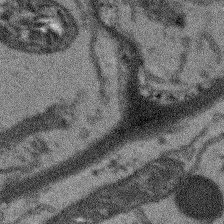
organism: Arabidopsis thaliana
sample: Root tip